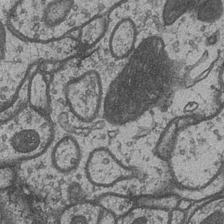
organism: Drosophila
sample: Optic medulla